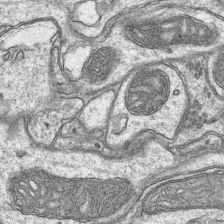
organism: Mouse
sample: CA1 Hippocampus